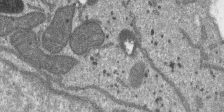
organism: Human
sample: Lung epithelial cells infected with SARS-CoV-2